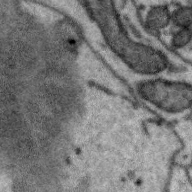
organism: Zebra finch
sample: Brain